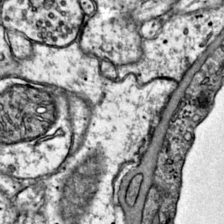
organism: Mouse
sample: Primary visual cortex